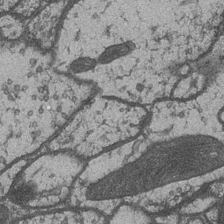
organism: Drosophila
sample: Optic medulla